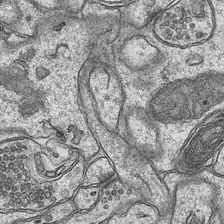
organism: Mouse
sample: CA1 Hippocampus